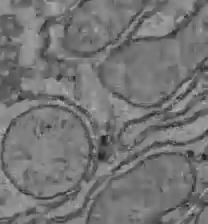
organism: C57BL Mouse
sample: Liver